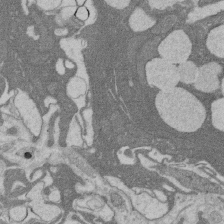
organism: Rat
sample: Salivary granule